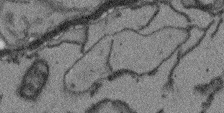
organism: Arabidopsis thaliana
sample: Root tip